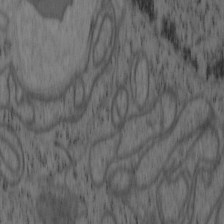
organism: Human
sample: HeLa cells